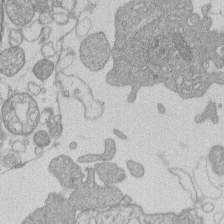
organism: Human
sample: Macrophage cells